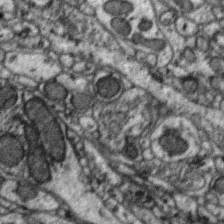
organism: Zebra finch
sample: Brain